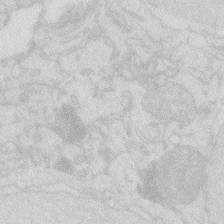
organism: Zebrafish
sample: Macrophage